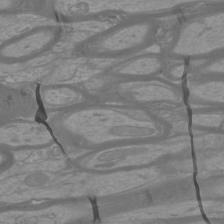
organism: Mouse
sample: Cortical neurons